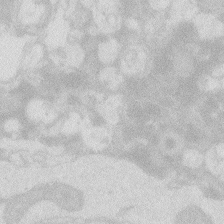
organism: Zebrafish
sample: Macrophage